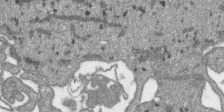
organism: Human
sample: Lung epithelial cells infected with SARS-CoV-2